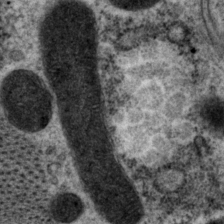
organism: P. pacificus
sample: Pharynx